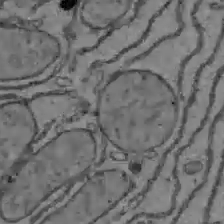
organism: C57BL Mouse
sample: Liver